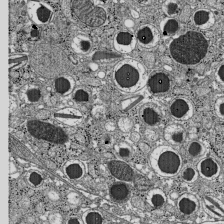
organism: C57BL Mouse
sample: Pancreatic islet